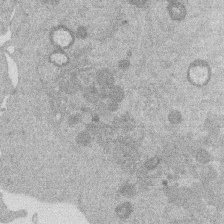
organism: Mouse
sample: Dividing mouse embryo 1 cell stage